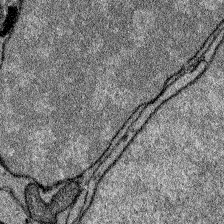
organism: Zebrafish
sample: Larval olfactory bulb